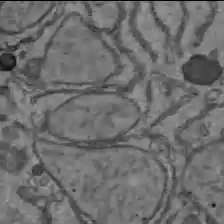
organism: C57BL Mouse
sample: Liver